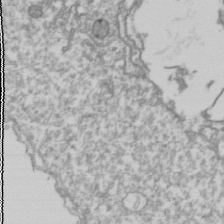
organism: Drosophila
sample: Cell division; meiosis; drosophila spermatocytes